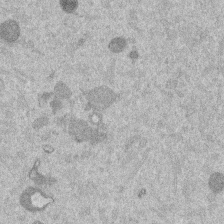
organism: Mouse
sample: Dividing mouse embryo 1 cell stage